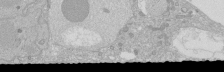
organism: Human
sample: Caco-2 cells